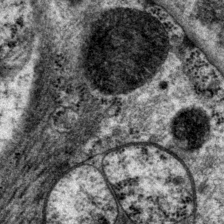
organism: P. pacificus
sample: Pharynx